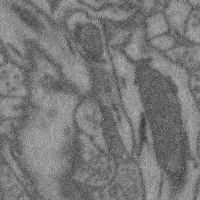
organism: Mouse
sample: Cerebral cortex